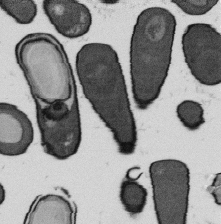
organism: B. subtilis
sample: Bacterial spore